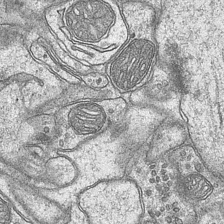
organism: Mouse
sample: CA1 Hippocampus